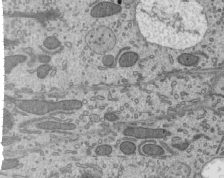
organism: Mouse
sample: Mouse epididymis efferent ductule cilia